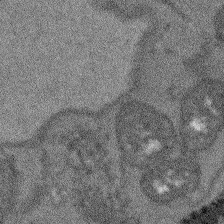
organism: Arabidopsis thaliana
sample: Root tip